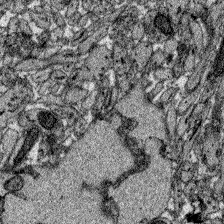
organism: Zebrafish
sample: Larval olfactory bulb